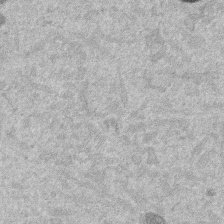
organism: Mouse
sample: Dividing mouse embryo 1 cell stage